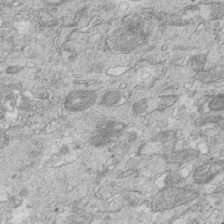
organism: Mouse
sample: Multiciliated cells